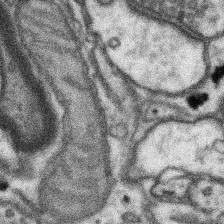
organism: Mouse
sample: Somatosensory cortex neuropil